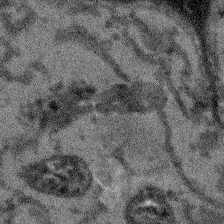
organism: Arabidopsis thaliana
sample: Root tip